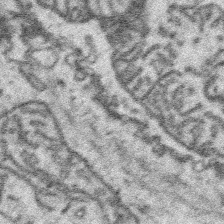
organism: Platynereis dumerilii